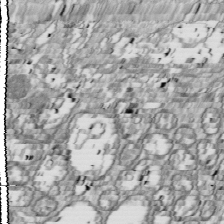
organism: Drosophila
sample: Cell division; meiosis; drosophila spermatocytes